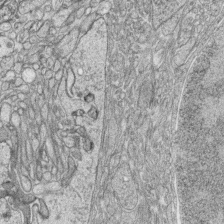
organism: Zebrafish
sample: synaptic ribbons in rod cells and cone cells